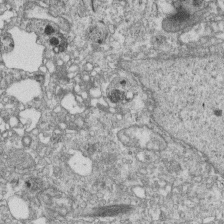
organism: Human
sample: HeLa cell HIV synapse